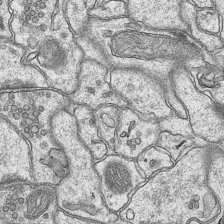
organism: Mouse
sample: CA1 Hippocampus